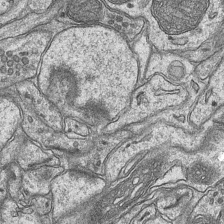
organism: Mouse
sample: CA1 Hippocampus